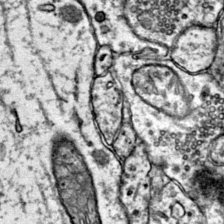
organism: Mouse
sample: Primary visual cortex